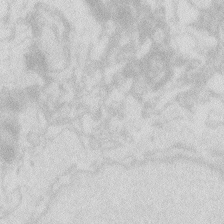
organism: Zebrafish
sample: Macrophage